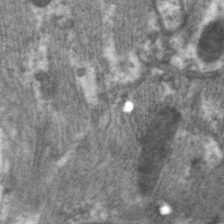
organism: C. elegans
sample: Pharynx